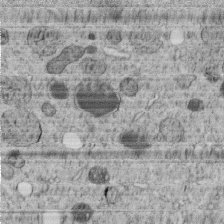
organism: C. elegans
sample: C. elegans embryo early stage